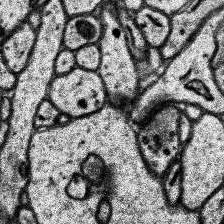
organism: Human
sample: Temporal Lobe